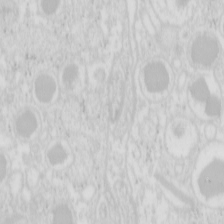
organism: Mouse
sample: Pancreas